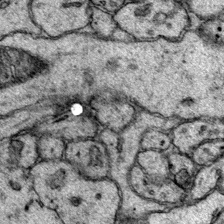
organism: Mouse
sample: Primary visual cortex